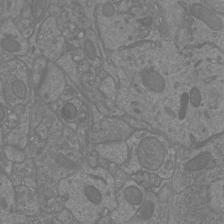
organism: Mouse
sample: Cortical neurons